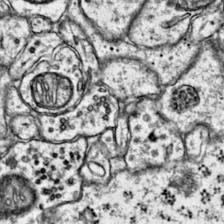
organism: Mouse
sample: Primary visual cortex